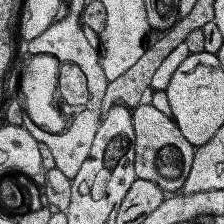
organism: Human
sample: Temporal Lobe